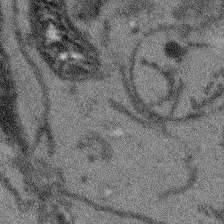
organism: Arabidopsis thaliana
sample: Root tip